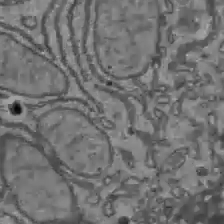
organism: C57BL Mouse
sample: Liver